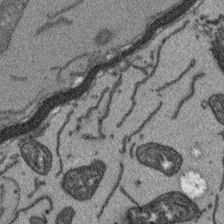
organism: Arabidopsis thaliana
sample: Root tip